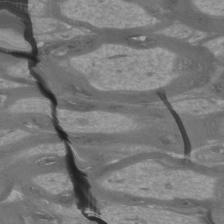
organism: Mouse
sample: Cortical neurons